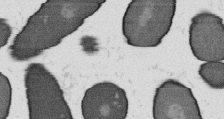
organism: B. subtilis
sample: Bacterial spore